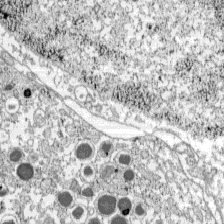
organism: C57BL Mouse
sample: Pancreatic islet